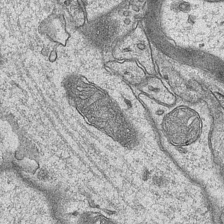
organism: Mouse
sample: CA1 Hippocampus